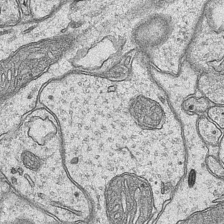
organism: Mouse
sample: CA1 Hippocampus